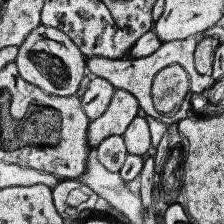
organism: Human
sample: Temporal Lobe